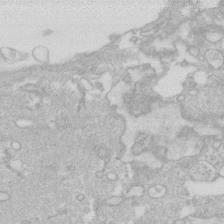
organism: Human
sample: Fibroblast cells